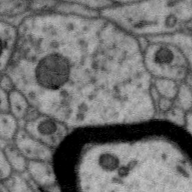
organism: Zebra finch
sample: Brain